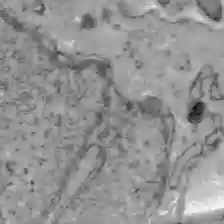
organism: C57BL Mouse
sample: Liver